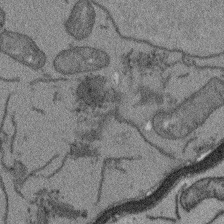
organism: Arabidopsis thaliana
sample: Root tip